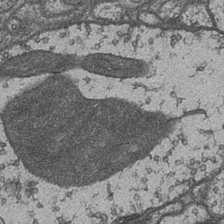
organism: Drosophila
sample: Optic medulla